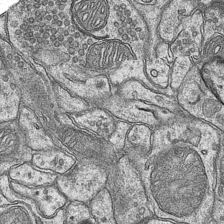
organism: Mouse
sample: CA1 Hippocampus